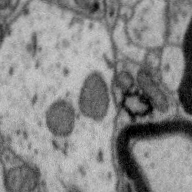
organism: Zebra finch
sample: Brain